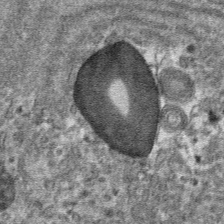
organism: Mouse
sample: Mouse hepatocytes